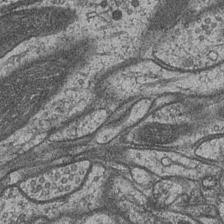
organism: Drosophila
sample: Optic medulla